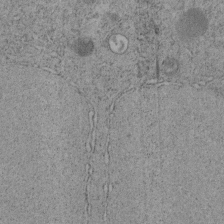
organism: C. elegans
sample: C. elegans embryo early stage